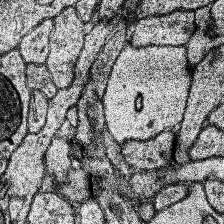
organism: Human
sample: Temporal Lobe